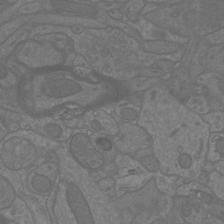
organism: Mouse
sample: Cortical neurons